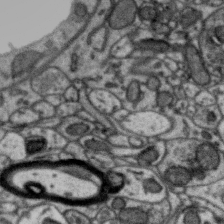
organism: Zebra finch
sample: Brain